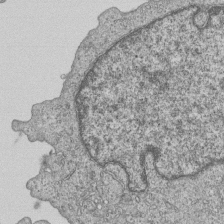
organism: Human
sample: MDA-MB-231 cells